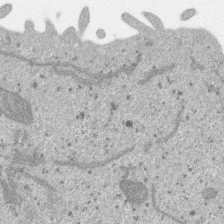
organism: Human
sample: Lung epithelial cells infected with SARS-CoV-2